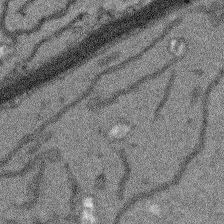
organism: Arabidopsis thaliana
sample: Root tip